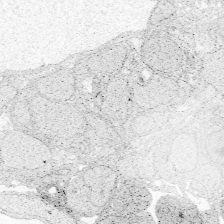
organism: Zebrafish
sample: Whole-Brain